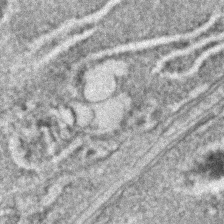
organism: C. elegans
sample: C. elegans embryo